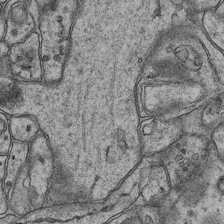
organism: Mouse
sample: CA1 Hippocampus